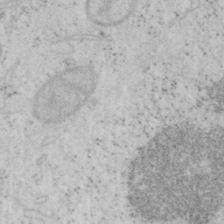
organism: Human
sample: HeLa cells